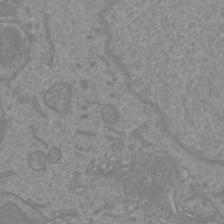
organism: Mouse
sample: Cortical neurons